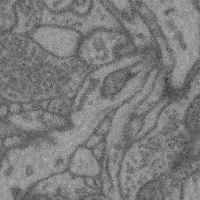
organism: Mouse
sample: Cerebral cortex